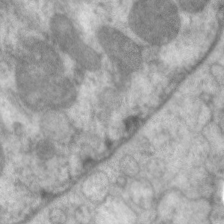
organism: C. elegans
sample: Pharynx